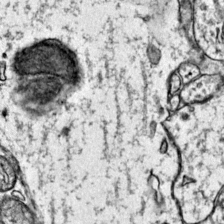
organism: Mouse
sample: Primary visual cortex